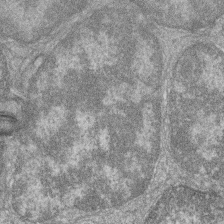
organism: Zebrafish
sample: Cilia; retinal pigment epithelium